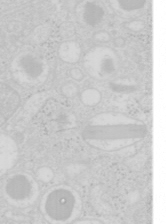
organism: Mouse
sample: Pancreas